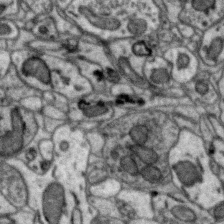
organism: Zebra finch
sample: Brain